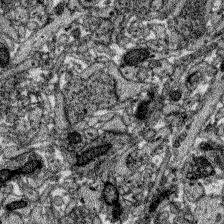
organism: Zebrafish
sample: Larval olfactory bulb